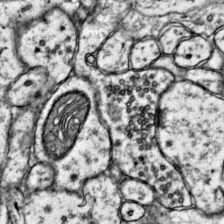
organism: Mouse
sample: Primary visual cortex